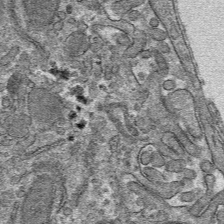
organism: Mouse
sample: Mouse hepatocytes